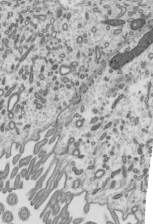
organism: Mouse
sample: Mouse epididymis efferent ductule cilia